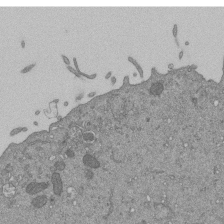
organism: Mouse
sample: ED-1 cell nuclei; centrioles